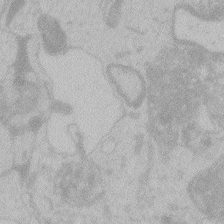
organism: Zebrafish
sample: Macrophage infected with Toxoplasma gondii